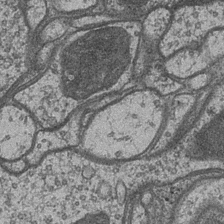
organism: Drosophila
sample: Optic medulla